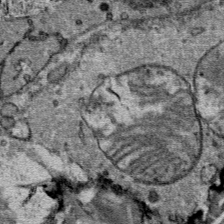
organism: Mouse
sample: Mouse Salivary gland